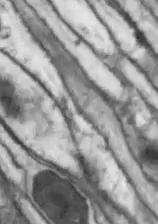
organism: Drosophila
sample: Optic lobe